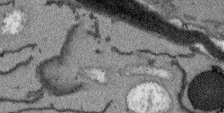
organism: Arabidopsis thaliana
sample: Root tip